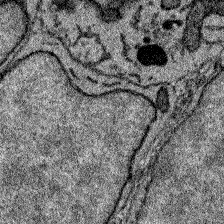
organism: Zebrafish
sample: Larval olfactory bulb